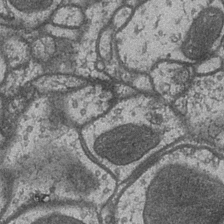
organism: Drosophila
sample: Optic medulla